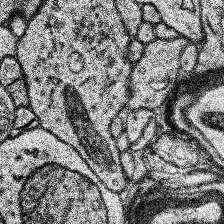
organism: Human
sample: Temporal Lobe